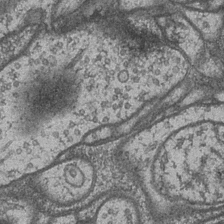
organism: Drosophila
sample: Optic medulla